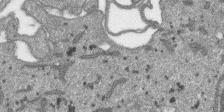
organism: Human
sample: Lung epithelial cells infected with SARS-CoV-2